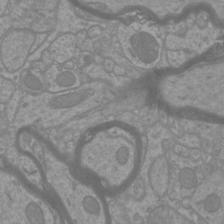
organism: Mouse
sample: Cortical neurons